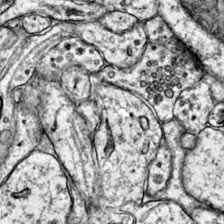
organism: Mouse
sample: Primary visual cortex